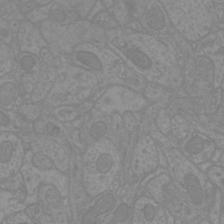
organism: Mouse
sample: Cortical neurons